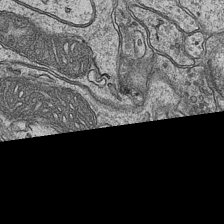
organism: Mouse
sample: CA1 Hippocampus